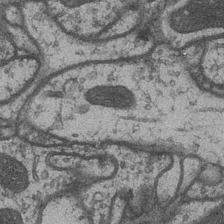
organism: Drosophila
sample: Optic medulla